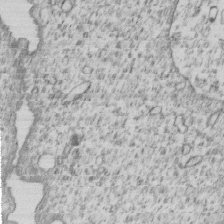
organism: Human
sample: MDA-MB-231 cells